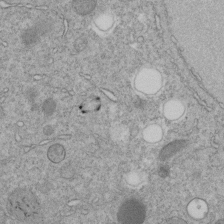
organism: C. elegans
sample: C. elegans embryo early stage